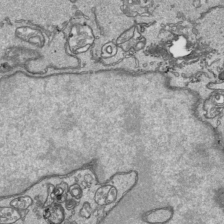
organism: Human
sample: Mitochondria in HCT116 cells